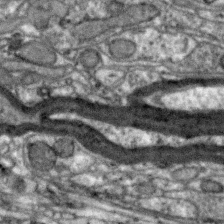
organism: Zebra finch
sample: Brain